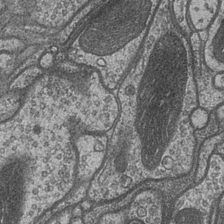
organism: Drosophila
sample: Optic medulla